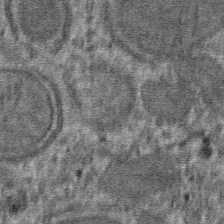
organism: Mouse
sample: Mouse hepatocytes